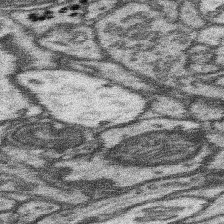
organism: Mouse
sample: Somatosensory cortex neuropil